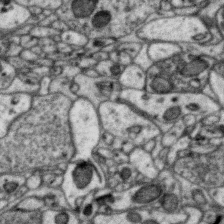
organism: Zebra finch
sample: Brain